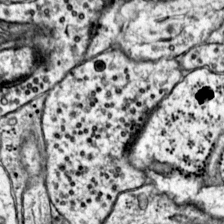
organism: Mouse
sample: Primary visual cortex